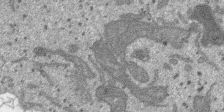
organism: Human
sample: Lung epithelial cells infected with SARS-CoV-2